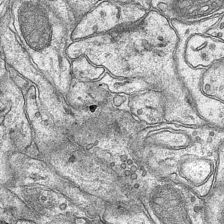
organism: Mouse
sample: CA1 Hippocampus